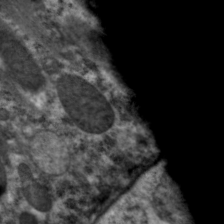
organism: C. elegans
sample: Pharynx